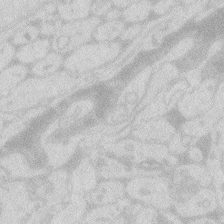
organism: Zebrafish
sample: Macrophage